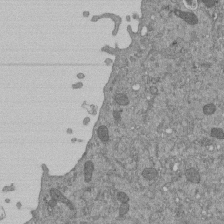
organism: Mouse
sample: ED-1 cell nuclei; centrioles